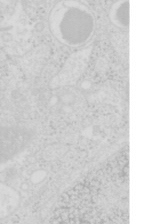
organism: Mouse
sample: Pancreas